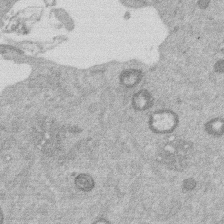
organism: Mouse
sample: Dividing mouse embryo 1 cell stage